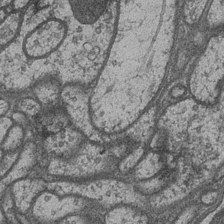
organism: Drosophila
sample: Optic medulla